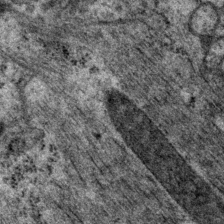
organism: P. pacificus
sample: Pharynx